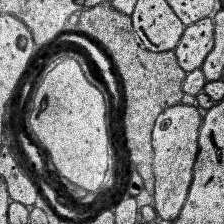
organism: Human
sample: Temporal Lobe